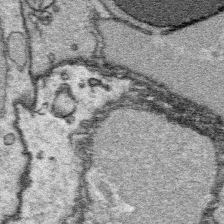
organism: Platynereis dumerilii